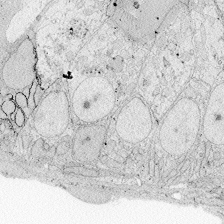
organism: Zebrafish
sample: Whole-Brain